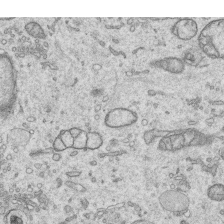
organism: Human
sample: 1205lu cells